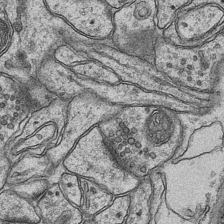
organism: Mouse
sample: CA1 Hippocampus